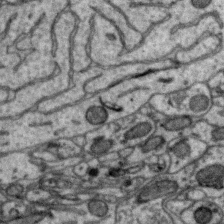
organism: Zebra finch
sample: Brain